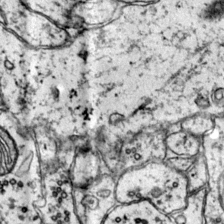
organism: Mouse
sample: Primary visual cortex